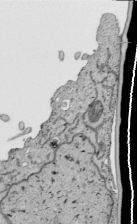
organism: Human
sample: Mitochondria in HCT116 cells